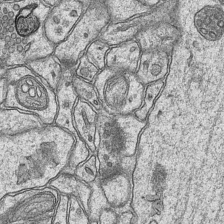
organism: Mouse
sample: CA1 Hippocampus